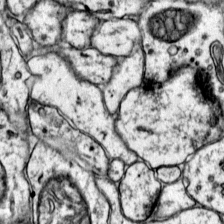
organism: Mouse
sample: Primary visual cortex